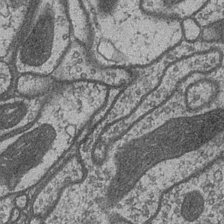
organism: Drosophila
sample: Optic medulla